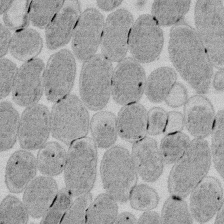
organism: E. coli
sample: Bacterial nucleoid